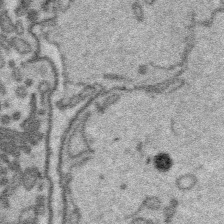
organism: Platynereis dumerilii